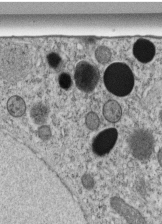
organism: C. elegans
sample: C. elegans embryo early stage